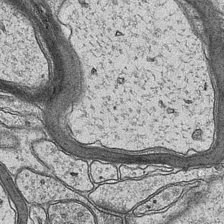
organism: Mouse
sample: CA1 Hippocampus